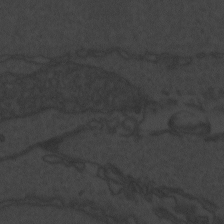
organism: Zebrafish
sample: Macrophage infected with Toxoplasma gondii